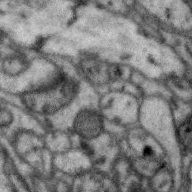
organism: Zebra finch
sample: Brain